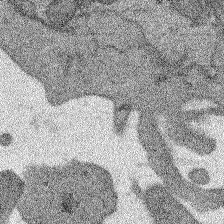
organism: Human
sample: HeLa cells